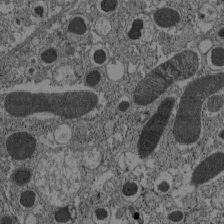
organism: C57BL Mouse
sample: Pancreatic islet